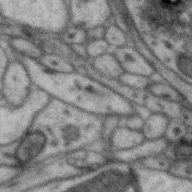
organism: Zebra finch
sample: Brain